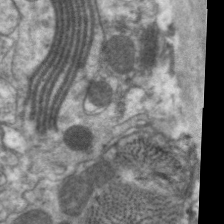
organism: C. elegans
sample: Pharynx